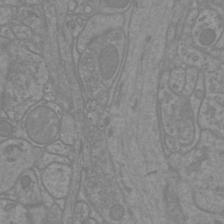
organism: Mouse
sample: Cortical neurons